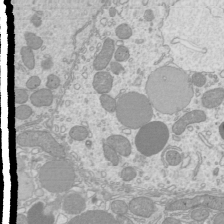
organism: Mouse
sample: Cilia; mouse epididymis